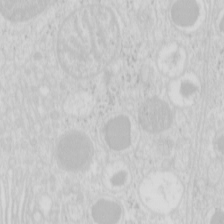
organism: Mouse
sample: Pancreas